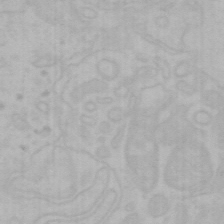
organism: Mouse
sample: Choroid plexus